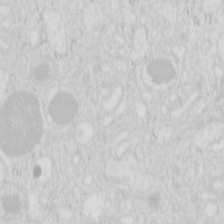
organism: Mouse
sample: Pancreas